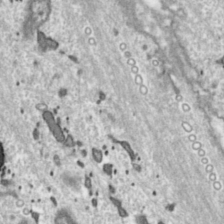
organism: Toxoplasma gondii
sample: Parasites in a vacuole inside a host cell